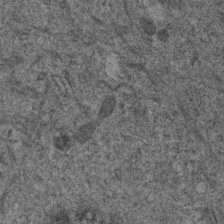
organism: Human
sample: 1205lu cells